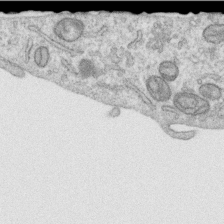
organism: Human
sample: Centriole in RPE cells